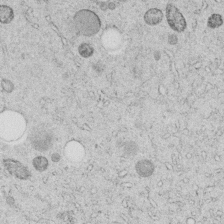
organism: C. elegans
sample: C. elegans embryo early stage